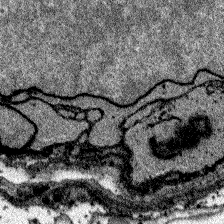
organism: Zebrafish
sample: Larval olfactory bulb